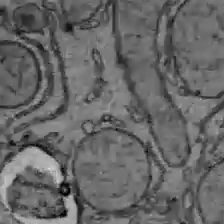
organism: C57BL Mouse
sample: Liver